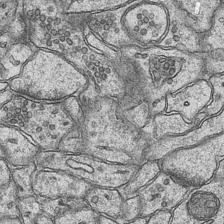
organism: Mouse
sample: CA1 Hippocampus